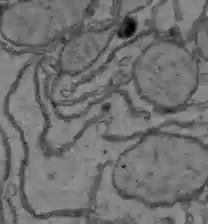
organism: C57BL Mouse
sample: Liver